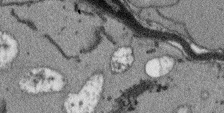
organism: Arabidopsis thaliana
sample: Root tip